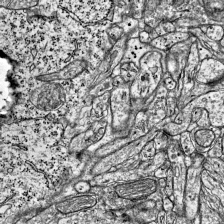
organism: Mouse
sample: Visual Cortex